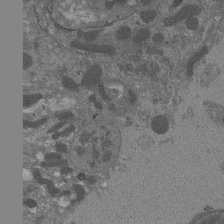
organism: Drosophila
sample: Antenna